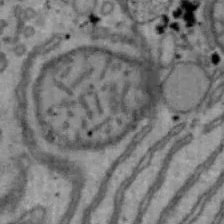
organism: Mouse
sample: Liver